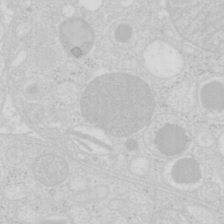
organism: Mouse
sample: Pancreas